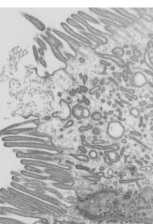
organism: Mouse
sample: Mouse epididymis efferent ductule cilia